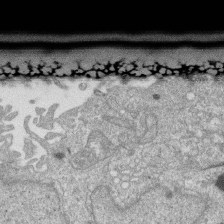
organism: Human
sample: HeLa cell HIV synapse